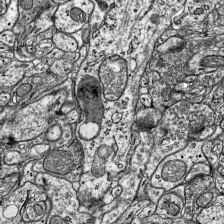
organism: Mouse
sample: Visual Cortex